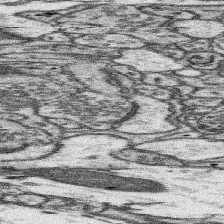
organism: Mouse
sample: Somatosensory cortex neuropil